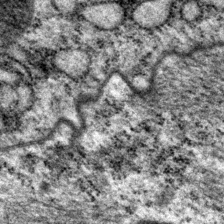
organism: P. pacificus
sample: Pharynx